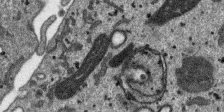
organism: Human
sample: Lung epithelial cells infected with SARS-CoV-2